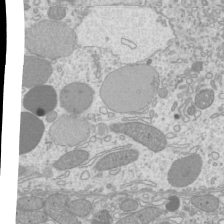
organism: Mouse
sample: Cilia; mouse epididymis